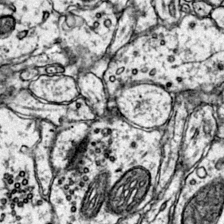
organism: Mouse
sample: Primary visual cortex